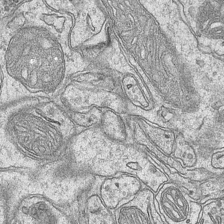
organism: Mouse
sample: CA1 Hippocampus